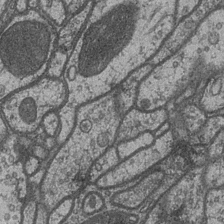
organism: Drosophila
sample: Optic medulla